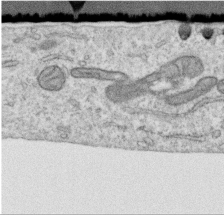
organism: Human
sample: Centriole in RPE cells